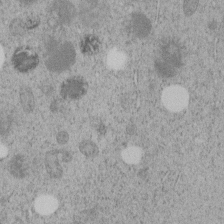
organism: C. elegans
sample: C. elegans embryo early stage